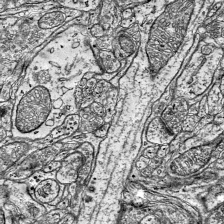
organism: Mouse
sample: Visual Cortex